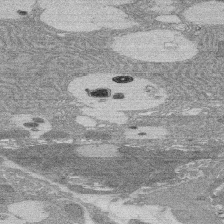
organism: Rat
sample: Salivary granule